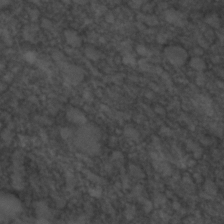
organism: C. elegans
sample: C. elegans embryo